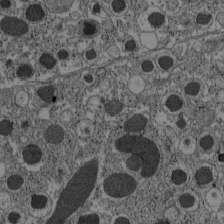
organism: C57BL Mouse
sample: Pancreatic islet